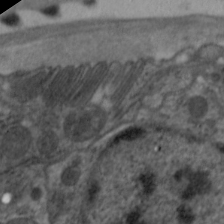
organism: C. elegans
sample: Pharynx